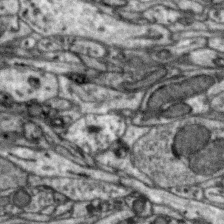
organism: Zebra finch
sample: Brain